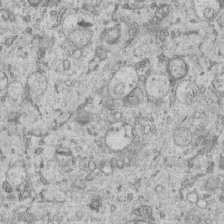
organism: Human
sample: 1205lu cells